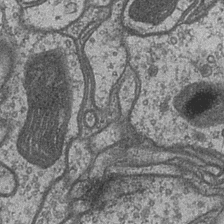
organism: Drosophila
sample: Optic medulla